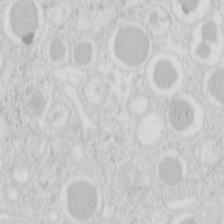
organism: Mouse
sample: Pancreas